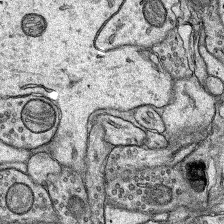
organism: Rat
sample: Hippocampus